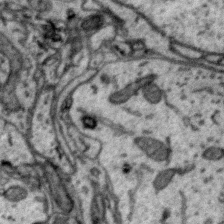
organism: Zebra finch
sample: Brain